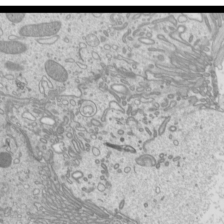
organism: Mouse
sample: Cilia; mouse epididymis